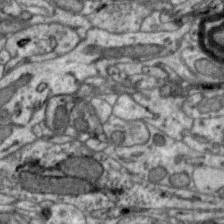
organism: Zebra finch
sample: Brain